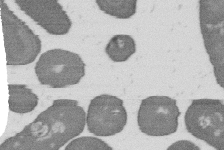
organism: B. subtilis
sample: Bacterial spore